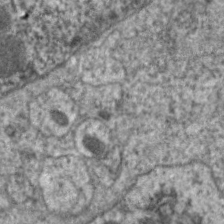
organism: C. elegans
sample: Pharynx